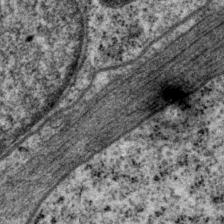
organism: P. pacificus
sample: Pharynx